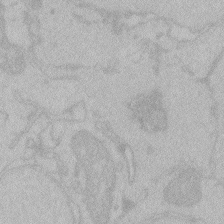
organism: Zebrafish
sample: Macrophage infected with Toxoplasma gondii